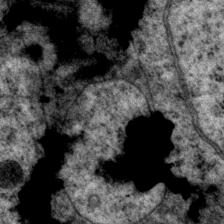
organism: P. pacificus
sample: Pharynx